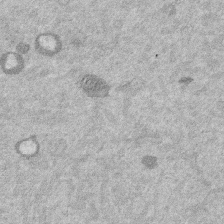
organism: Mouse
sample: Dividing mouse embryo 1 cell stage